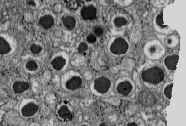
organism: C57BL Mouse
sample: Pancreatic islet